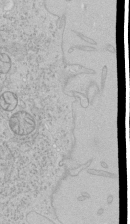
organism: Human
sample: Mitochondria in HCT116 cells